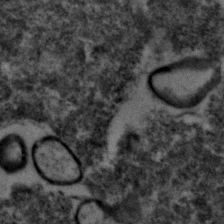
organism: Zebrafish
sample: Zebrafish embryo